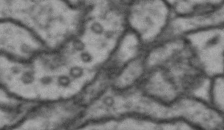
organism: Drosophila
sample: Brain